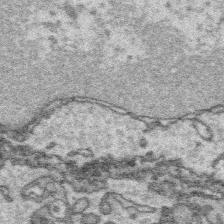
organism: Platynereis dumerilii